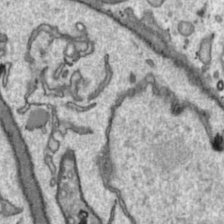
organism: Toxoplasma gondii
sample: Parasites in a vacuole inside a host cell